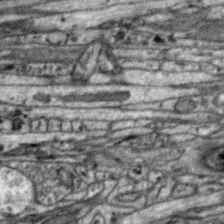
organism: Zebra finch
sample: Brain